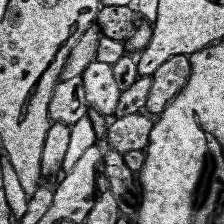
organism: Human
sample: Temporal Lobe